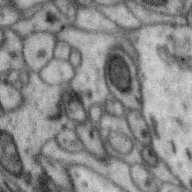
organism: Zebra finch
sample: Brain